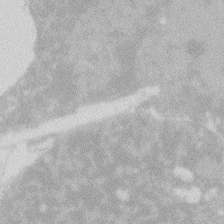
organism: Zebrafish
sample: Macrophage